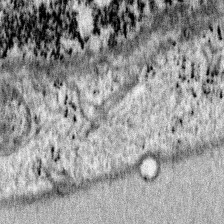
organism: Human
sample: HeLa cells